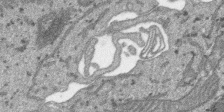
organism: Human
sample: Lung epithelial cells infected with SARS-CoV-2